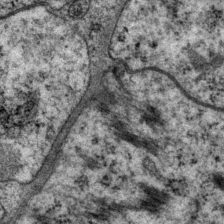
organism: P. pacificus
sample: Pharynx